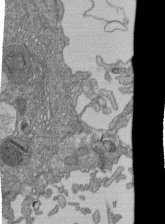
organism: Human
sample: Retinal organoid Rod and Cone cells